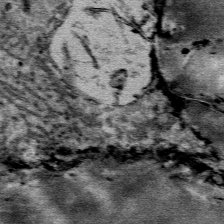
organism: Mouse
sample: Mouse Salivary gland